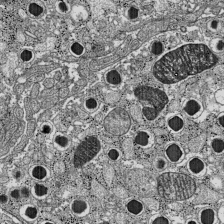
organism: C57BL Mouse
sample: Pancreatic islet